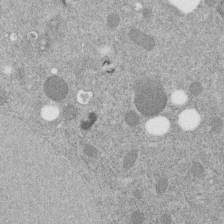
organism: C. elegans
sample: C. elegans embryo early stage